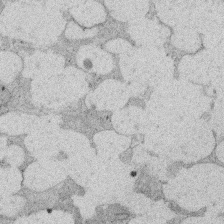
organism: Rat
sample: Salivary granule